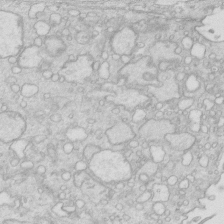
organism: Mouse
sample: Multiciliated cells